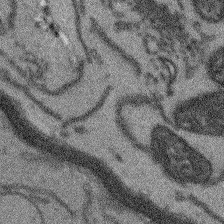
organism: Arabidopsis thaliana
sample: Root tip